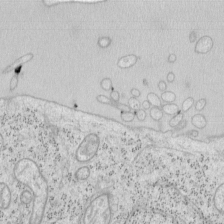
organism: Mouse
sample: OT-I killer T cells with ID8 ovarian cancer cells